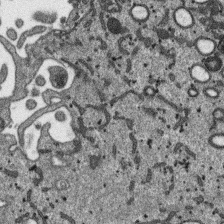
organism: Human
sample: Lung epithelial cells infected with SARS-CoV-2